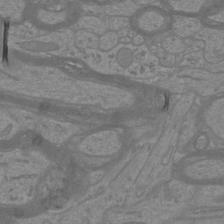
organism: Mouse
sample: Cortical neurons